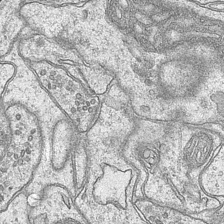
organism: Mouse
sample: CA1 Hippocampus